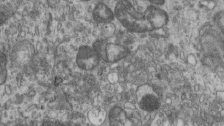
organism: Mouse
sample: Centriole in ependymal cells